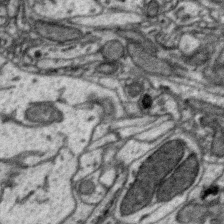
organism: Zebra finch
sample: Brain